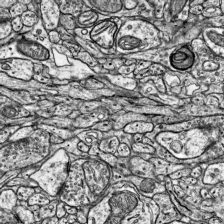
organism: Mouse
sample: Visual Cortex